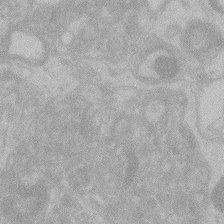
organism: Zebrafish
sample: Macrophage infected with Toxoplasma gondii